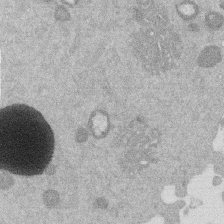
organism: Mouse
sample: Dividing mouse embryo 1 cell stage